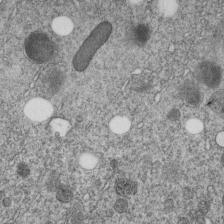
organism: C. elegans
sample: C. elegans embryo early stage